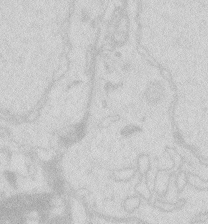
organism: Zebrafish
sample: Macrophage